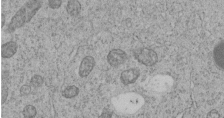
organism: C. elegans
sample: C. elegans embryo early stage